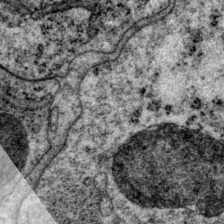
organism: P. pacificus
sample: Pharynx